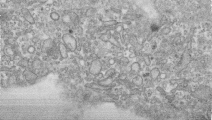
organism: Human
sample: Centriole in RPE cells